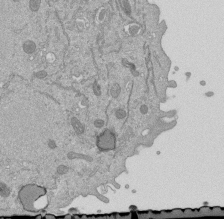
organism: Mouse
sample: ED-1 cell nuclei; centrioles